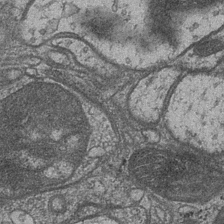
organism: Drosophila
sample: Optic medulla